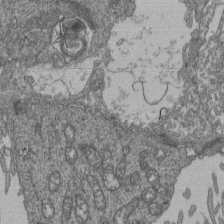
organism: Human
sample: Retinal organoid Rod and Cone cells